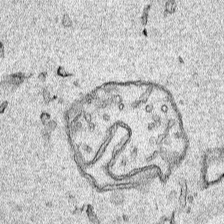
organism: Human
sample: Mitochondria in HCT116 cells